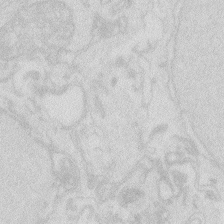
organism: Zebrafish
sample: Macrophage